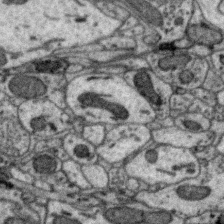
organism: Zebra finch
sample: Brain